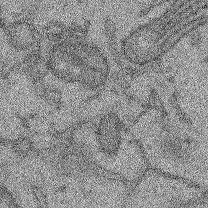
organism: Human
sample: HeLa cells